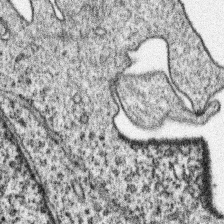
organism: Human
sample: HeLa cells